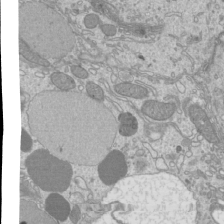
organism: Mouse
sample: Cilia; mouse epididymis